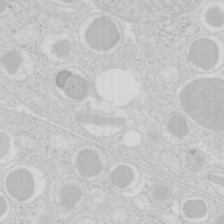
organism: Mouse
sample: Pancreas